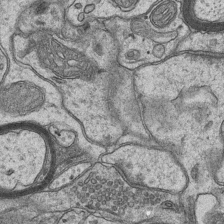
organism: Mouse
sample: CA1 Hippocampus